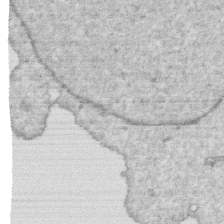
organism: Human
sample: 1205lu cells